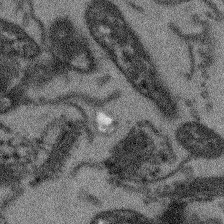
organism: Arabidopsis thaliana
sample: Root tip